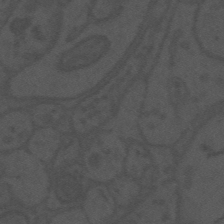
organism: Mouse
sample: Suprachiasmatic nucleus